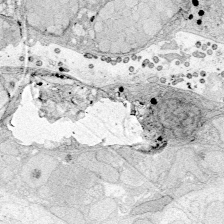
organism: Zebrafish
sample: Whole-Brain